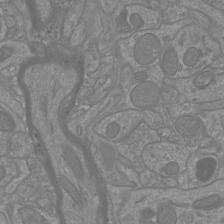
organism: Mouse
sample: Cortical neurons